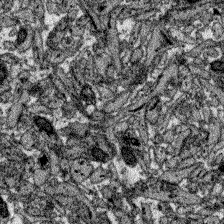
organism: Zebrafish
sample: Larval olfactory bulb